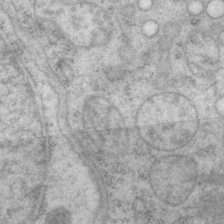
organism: P. pacificus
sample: Pharynx